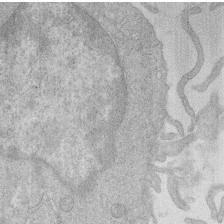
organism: Human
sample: Macrophage cells